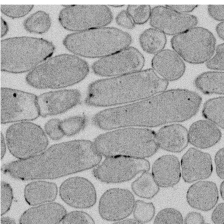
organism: E. coli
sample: Bacterial nucleoid